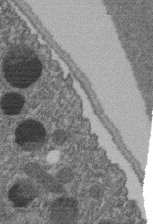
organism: C. elegans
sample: C. elegans embryo early stage